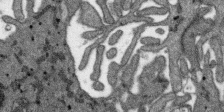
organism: Human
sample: Lung epithelial cells, uninfected (mock) control